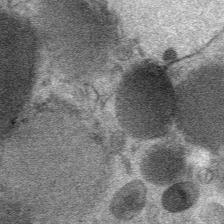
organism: Mouse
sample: Mouse Salivary gland